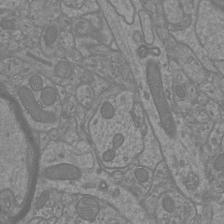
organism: Mouse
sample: Cortical neurons